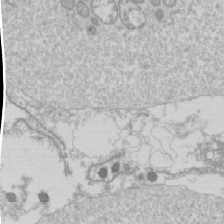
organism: Drosophila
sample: Cell division; meiosis; drosophila spermatocytes